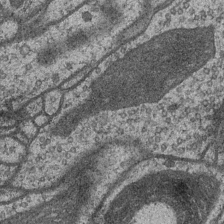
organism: Drosophila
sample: Optic medulla